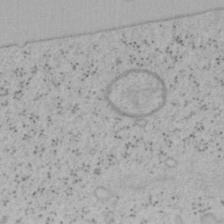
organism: Human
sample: HeLa cells